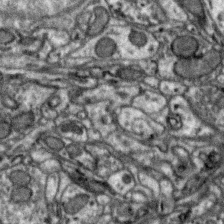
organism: Zebra finch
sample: Brain